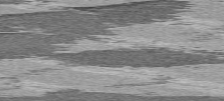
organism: C57BL Mouse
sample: Heart